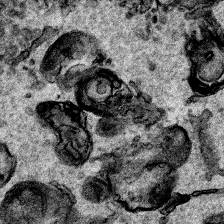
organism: Human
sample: Mitochondria in HCT116 cells